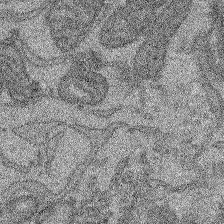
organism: Human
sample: HeLa cells